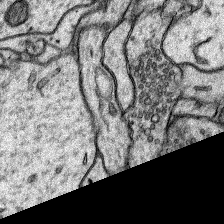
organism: Rat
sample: Hippocampus